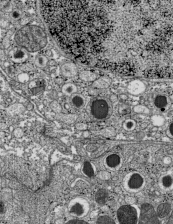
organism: C57BL Mouse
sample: Pancreatic islet